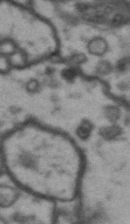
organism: Drosophila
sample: Brain